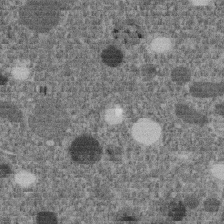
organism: C. elegans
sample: C. elegans embryo early stage